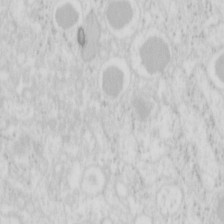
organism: Mouse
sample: Pancreas